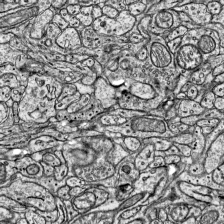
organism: Mouse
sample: Visual Cortex